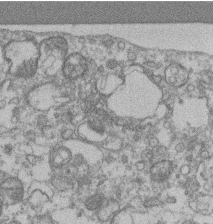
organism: Mouse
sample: T cell stromal cell synapse